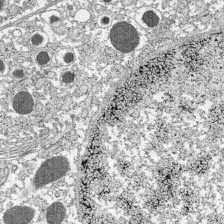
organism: C57BL Mouse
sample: Pancreatic islet